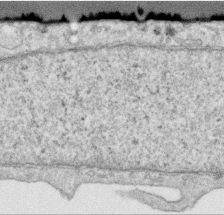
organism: Human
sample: Centriole in RPE cells